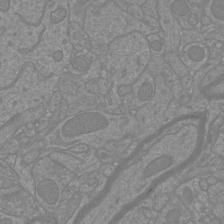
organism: Mouse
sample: Cortical neurons